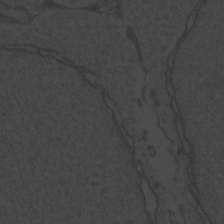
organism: Zebrafish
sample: Macrophage infected with Toxoplasma gondii